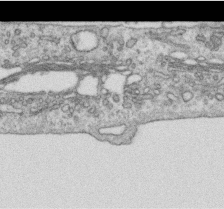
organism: Human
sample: Centriole in RPE cells